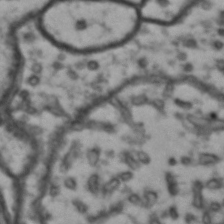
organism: Drosophila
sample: Brain